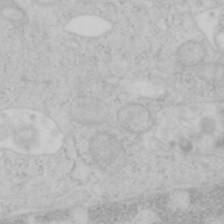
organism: Mouse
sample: OT-I killer T cells with ID8 ovarian cancer cells